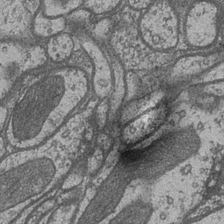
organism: Drosophila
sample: Optic medulla